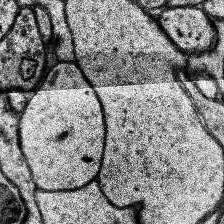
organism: Human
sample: Temporal Lobe